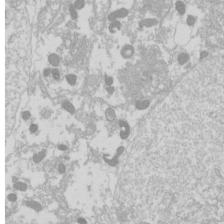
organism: Drosophila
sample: Cell division; meiosis; drosophila spermatocytes